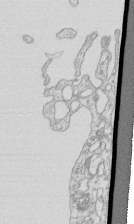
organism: Mouse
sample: Macrophages